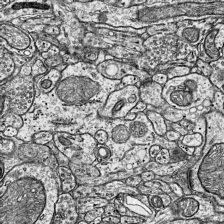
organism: Mouse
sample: Visual Cortex